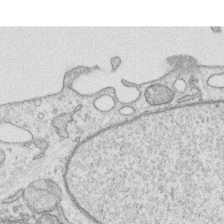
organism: Human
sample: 1205lu cells